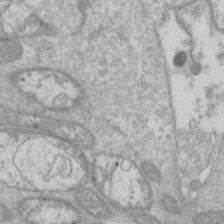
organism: Drosophila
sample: Cell division; meiosis; drosophila spermatocytes